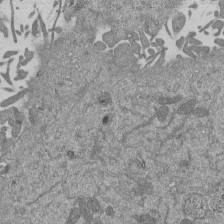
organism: Mouse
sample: ED-1 cell nuclei; centrioles